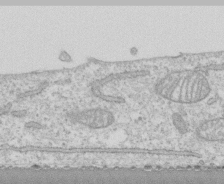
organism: Human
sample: CRL-1474